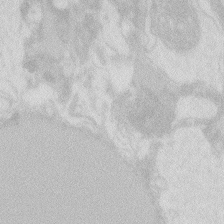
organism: Zebrafish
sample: Macrophage